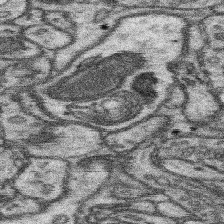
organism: Mouse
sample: Somatosensory cortex neuropil